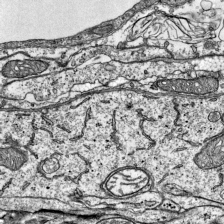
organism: Mouse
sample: Visual Cortex